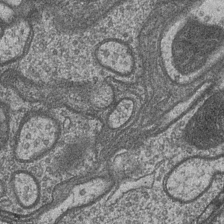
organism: Drosophila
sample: Optic medulla